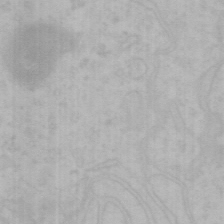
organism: Mouse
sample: Choroid plexus